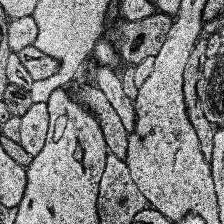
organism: Human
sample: Temporal Lobe